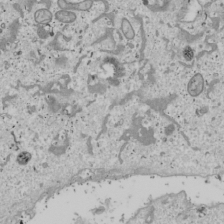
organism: Human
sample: Mitochondria in U2OS cells